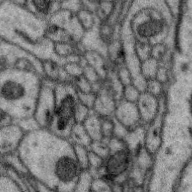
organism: Zebra finch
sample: Brain